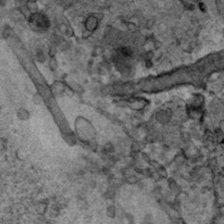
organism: Human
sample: Mitochondria in HCT116 cells